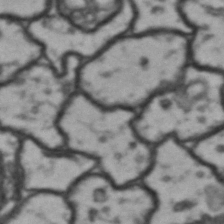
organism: Drosophila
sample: Brain